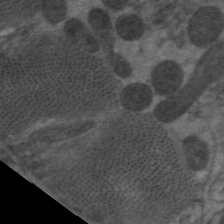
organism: C. elegans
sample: Pharynx